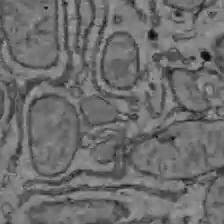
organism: C57BL Mouse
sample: Liver